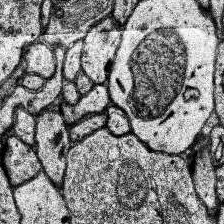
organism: Human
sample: Temporal Lobe